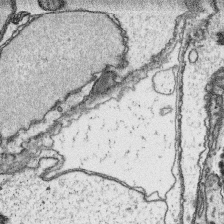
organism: Platynereis dumerilii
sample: Parapodia